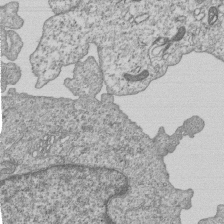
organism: Human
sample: MDA-MB-231 cells